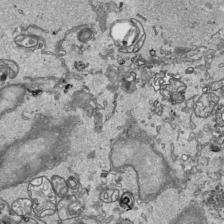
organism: Human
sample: Mitochondria in HCT116 cells